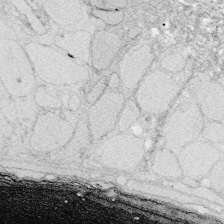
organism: Zebrafish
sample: Whole-Brain